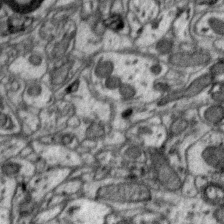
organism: Zebra finch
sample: Brain